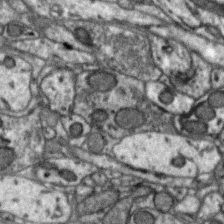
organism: Zebra finch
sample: Brain